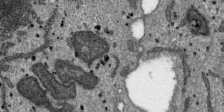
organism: Human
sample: Lung epithelial cells, uninfected (mock) control